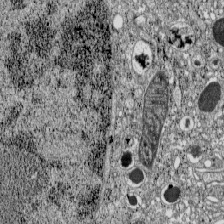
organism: C57BL Mouse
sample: Pancreatic islet